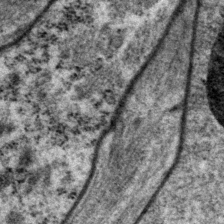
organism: P. pacificus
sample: Pharynx